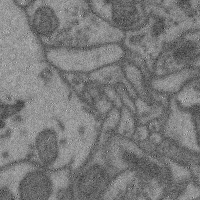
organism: Mouse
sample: Cerebral cortex